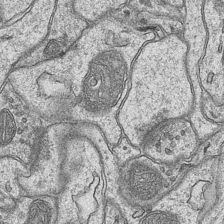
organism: Mouse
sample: CA1 Hippocampus